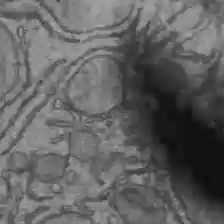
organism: C57BL Mouse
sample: Liver